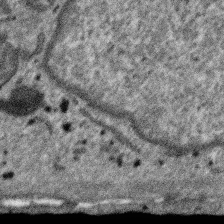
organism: Human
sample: Lung epithelial cells infected with SARS-CoV-2